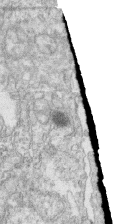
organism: Human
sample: HeLa cell HIV synapse